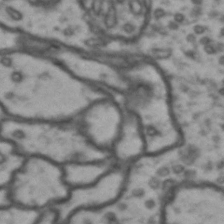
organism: Drosophila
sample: Brain